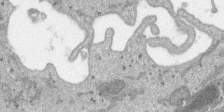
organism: Human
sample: Lung epithelial cells infected with SARS-CoV-2